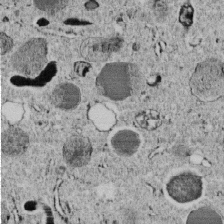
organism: C. elegans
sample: C. elegans embryo early stage